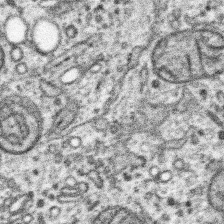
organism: Human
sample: HeLa cells